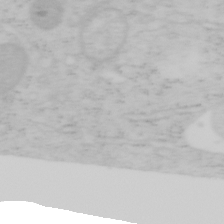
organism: Mouse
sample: OT-I killer T cells with ID8 ovarian cancer cells